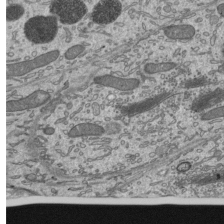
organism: Mouse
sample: Mouse epididymis efferent ductule cilia